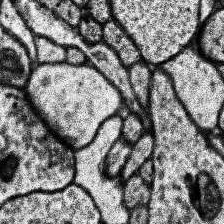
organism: Human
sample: Temporal Lobe